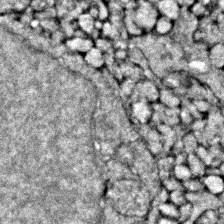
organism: Zebrafish